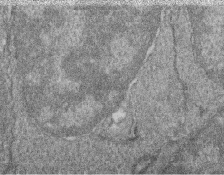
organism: Zebrafish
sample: Cilia; retinal pigment epithelium